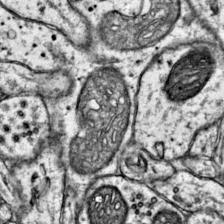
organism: Mouse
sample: Primary visual cortex